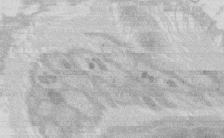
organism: Rat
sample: Salivary granule